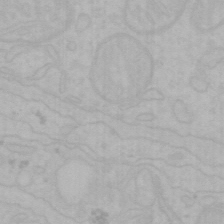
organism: Mouse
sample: Choroid plexus